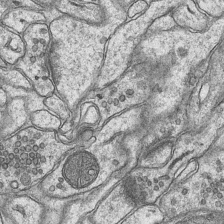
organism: Mouse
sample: CA1 Hippocampus